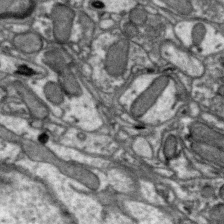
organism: Zebra finch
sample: Brain